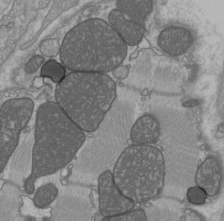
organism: C57BL Mouse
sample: Heart